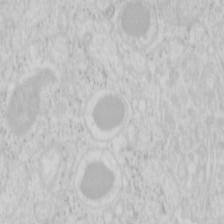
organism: Mouse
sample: Pancreas